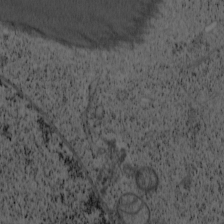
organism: African green monkey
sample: COS-7 cells